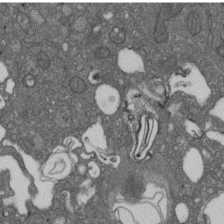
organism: Drosophila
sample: Nephrocyte